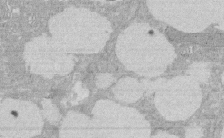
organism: Rat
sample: Salivary granule